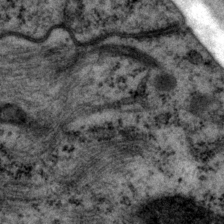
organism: P. pacificus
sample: Pharynx